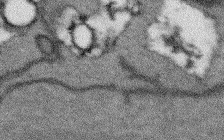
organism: Arabidopsis thaliana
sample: Root tip